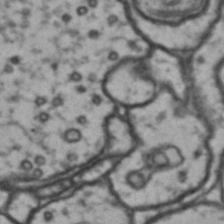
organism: Drosophila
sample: Brain